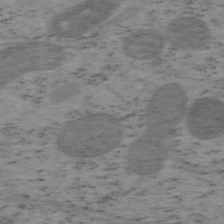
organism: Mouse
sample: OT-I killer T cells with ID8 ovarian cancer cells